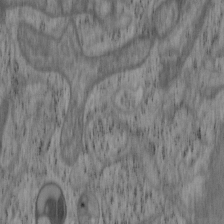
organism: Human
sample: HeLa cells